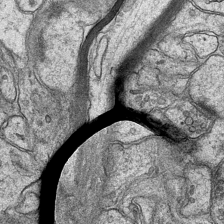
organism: Mouse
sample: CA1 Hippocampus